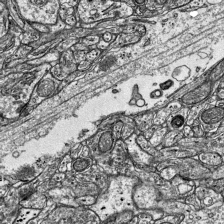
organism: Mouse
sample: Visual Cortex